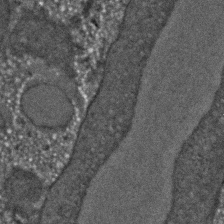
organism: C. elegans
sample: C. elegans embryo